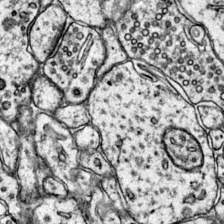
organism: Mouse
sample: Primary visual cortex